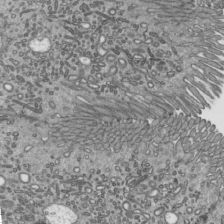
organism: Mouse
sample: Mouse epididymis efferent ductule cilia